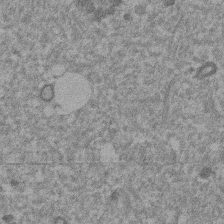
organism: Mouse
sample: Dividing mouse embryo 1 cell stage